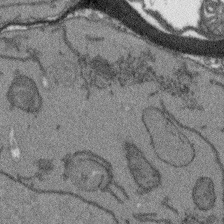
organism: Arabidopsis thaliana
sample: Root tip